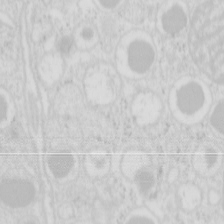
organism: Mouse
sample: Pancreas